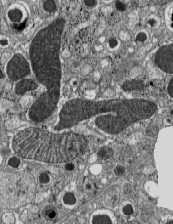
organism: C57BL Mouse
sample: Pancreatic islet